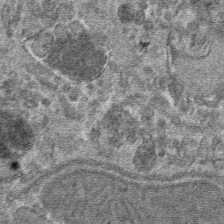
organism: Mouse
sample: Mouse hepatocytes